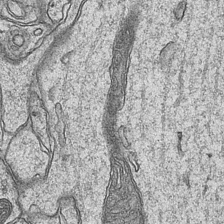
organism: Mouse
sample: CA1 Hippocampus